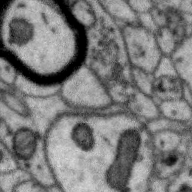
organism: Zebra finch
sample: Brain